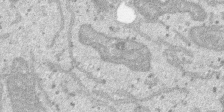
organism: Human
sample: Lung epithelial cells infected with SARS-CoV-2